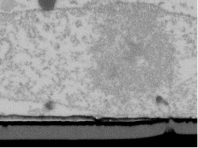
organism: Human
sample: U2-OS cells